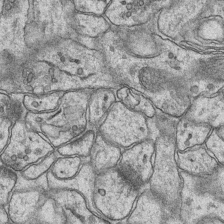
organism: Mouse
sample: CA1 Hippocampus